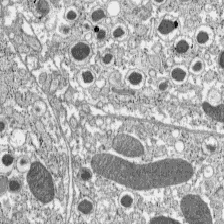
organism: C57BL Mouse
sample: Pancreatic islet